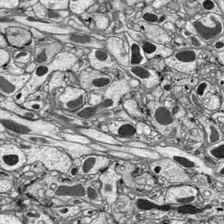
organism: Drosophila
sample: Optic lobe